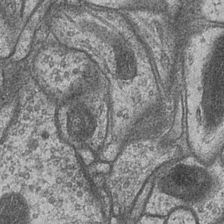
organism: Drosophila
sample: Optic medulla